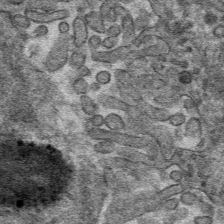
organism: Mouse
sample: Mouse hepatocytes